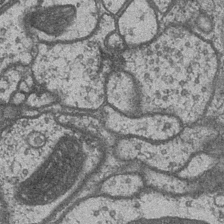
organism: Drosophila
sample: Optic medulla